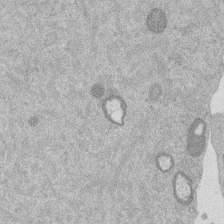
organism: Mouse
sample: Dividing mouse embryo 1 cell stage